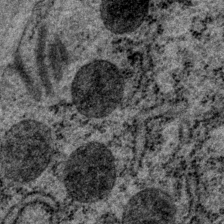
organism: P. pacificus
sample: Pharynx